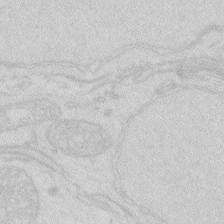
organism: Zebrafish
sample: Macrophage